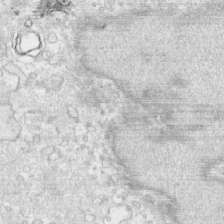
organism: Human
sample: CRL-1474